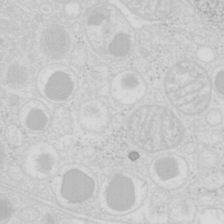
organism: Mouse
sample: Pancreas